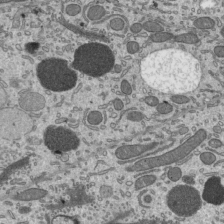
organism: Mouse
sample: Mouse epididymis efferent ductule cilia